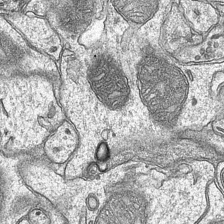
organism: Mouse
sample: CA1 Hippocampus